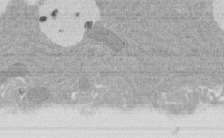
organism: Rat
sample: Salivary granule